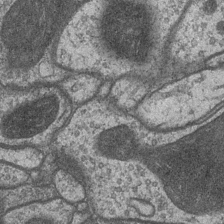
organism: Drosophila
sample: Optic medulla